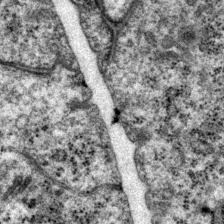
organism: P. pacificus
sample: Pharynx